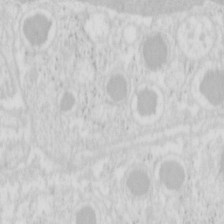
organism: Mouse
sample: Pancreas